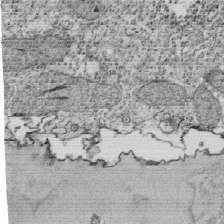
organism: Tetrahymena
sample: Cilia in tetrahymena